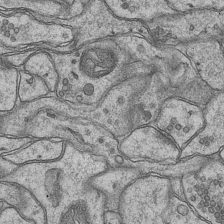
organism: Mouse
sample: CA1 Hippocampus